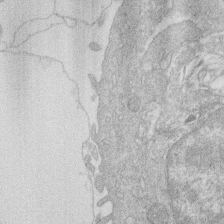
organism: Human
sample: Macrophage cells